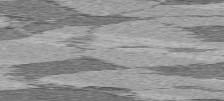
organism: C57BL Mouse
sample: Heart